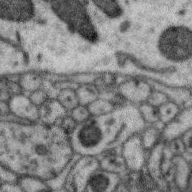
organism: Zebra finch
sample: Brain